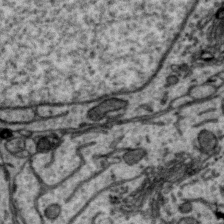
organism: Zebra finch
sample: Brain